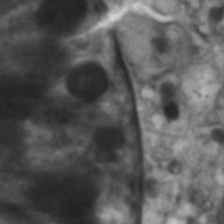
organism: C. elegans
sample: Pharynx